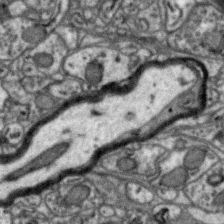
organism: Zebra finch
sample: Brain